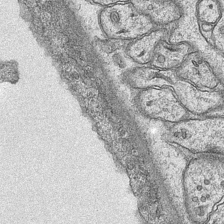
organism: Mouse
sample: CA1 Hippocampus